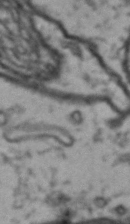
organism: Drosophila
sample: Brain